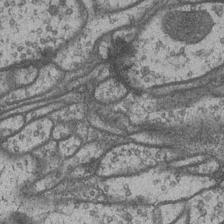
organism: Drosophila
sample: Optic medulla